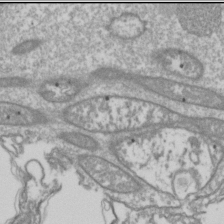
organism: Drosophila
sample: Cell division; meiosis; drosophila spermatocytes